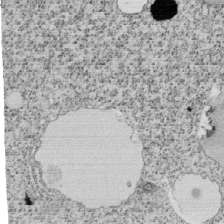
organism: Tetrahymena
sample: Cilia in tetrahymena